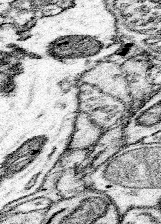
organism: Mouse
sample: Somatosensory cortex neuropil